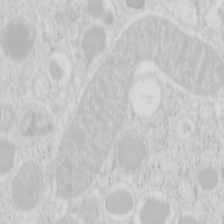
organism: Mouse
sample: Pancreas